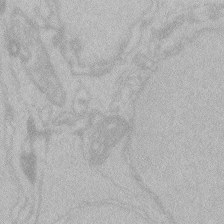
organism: Zebrafish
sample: Macrophage infected with Toxoplasma gondii